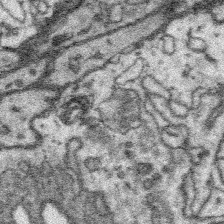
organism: Platynereis dumerilii